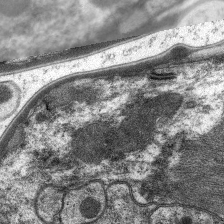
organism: C. elegans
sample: Pharynx